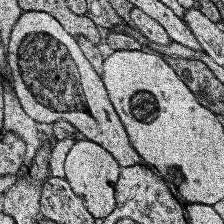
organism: Human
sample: Temporal Lobe